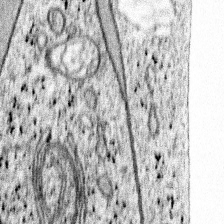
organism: Human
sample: HeLa cells